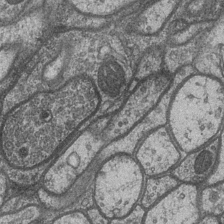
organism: Drosophila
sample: Optic medulla